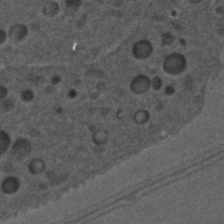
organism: C. elegans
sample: C. elegans embryo